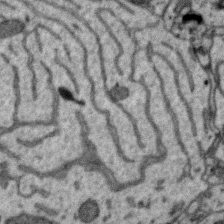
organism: Zebra finch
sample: Brain